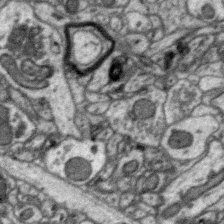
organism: Zebra finch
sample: Brain